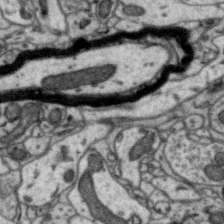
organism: Zebra finch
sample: Brain